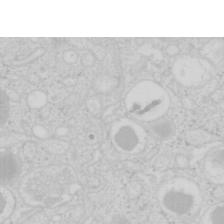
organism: Mouse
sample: Pancreas